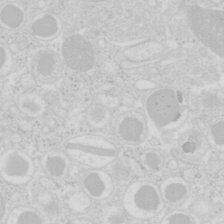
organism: Mouse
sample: Pancreas